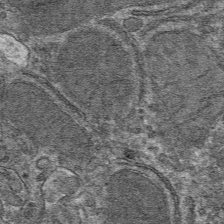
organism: Mouse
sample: Mouse hepatocytes